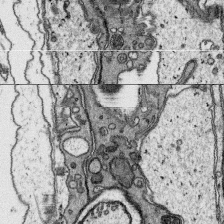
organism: Platynereis dumerilii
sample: Parapodia